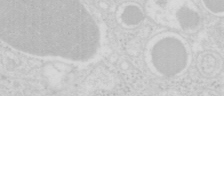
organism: Mouse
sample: Pancreas